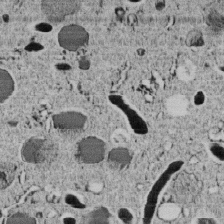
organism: C. elegans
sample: C. elegans embryo early stage